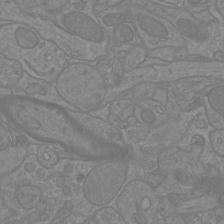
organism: Mouse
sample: Cortical neurons